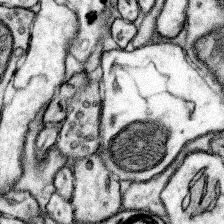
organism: Mouse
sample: Somatosensory cortex neuropil